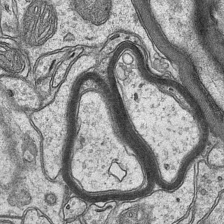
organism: Mouse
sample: CA1 Hippocampus